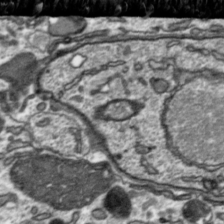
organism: Toxoplasma gondii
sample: Parasites in a vacuole inside a host cell